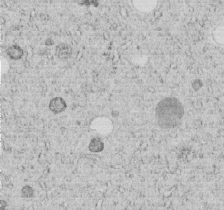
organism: C. elegans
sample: C. elegans embryo early stage